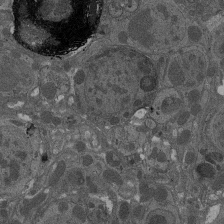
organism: Drosophila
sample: Antenna